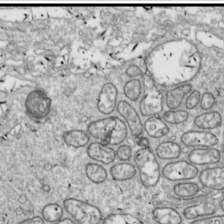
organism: Drosophila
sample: Cell division; meiosis; drosophila spermatocytes